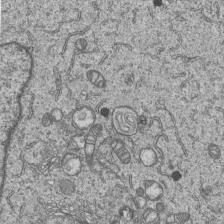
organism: Human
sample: MDA-MB-231 cells